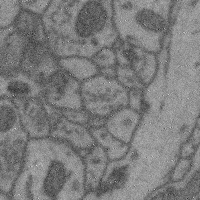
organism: Mouse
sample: Cerebral cortex